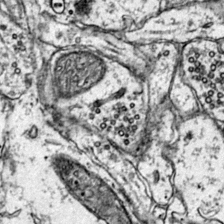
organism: Mouse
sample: Primary visual cortex